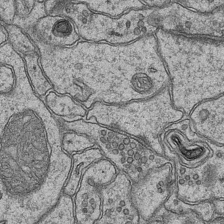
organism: Mouse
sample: CA1 Hippocampus